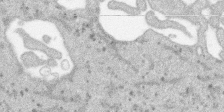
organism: Human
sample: Lung epithelial cells infected with SARS-CoV-2